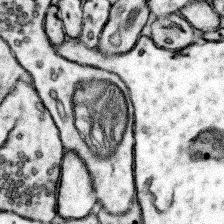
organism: Mouse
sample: Somatosensory cortex neuropil